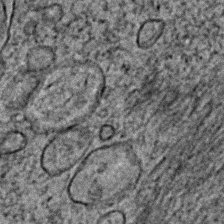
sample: Trachea